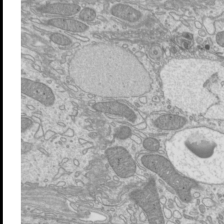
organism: Mouse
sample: Cilia; mouse epididymis